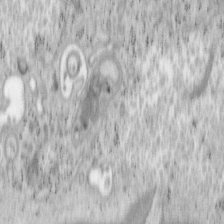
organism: Human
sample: HeLa cells